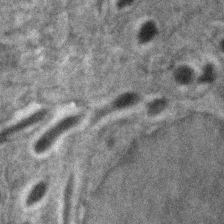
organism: Zebrafish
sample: Zebrafish embryo